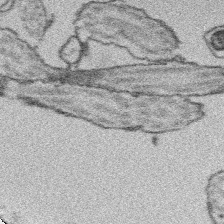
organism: Platynereis dumerilii